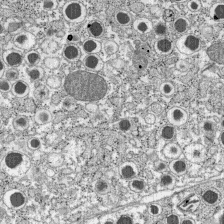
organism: C57BL Mouse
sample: Pancreatic islet